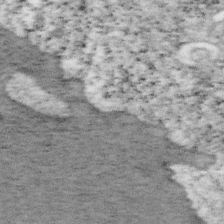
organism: Mouse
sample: OT-I killer T cells with ID8 ovarian cancer cells